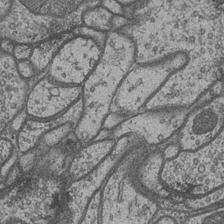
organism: Drosophila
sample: Optic medulla